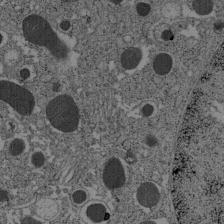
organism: C57BL Mouse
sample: Pancreatic islet